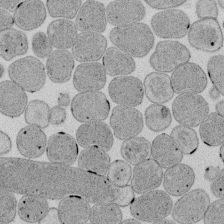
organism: E. coli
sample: Bacterial nucleoid